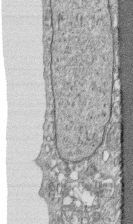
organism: Human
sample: CRL-1474